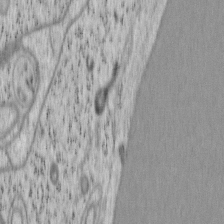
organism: Human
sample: HeLa cells